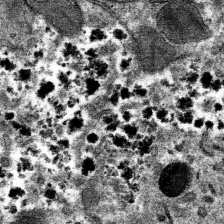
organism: Mouse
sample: Mouse hepatocytes